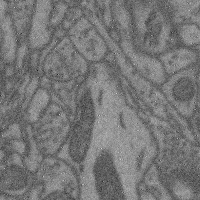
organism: Mouse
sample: Cerebral cortex